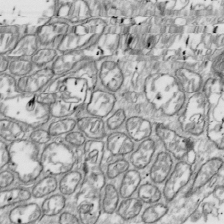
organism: Drosophila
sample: Cell division; meiosis; drosophila spermatocytes